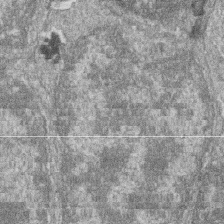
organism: Zebrafish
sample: Cilia; retinal pigment epithelium